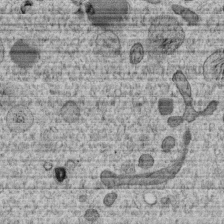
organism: C. elegans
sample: C. elegans embryo early stage